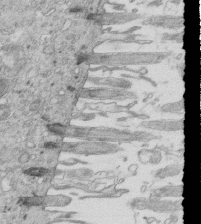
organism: Mouse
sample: Multiciliated cells